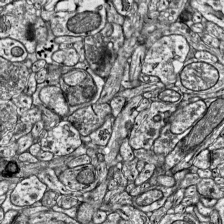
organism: Mouse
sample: Visual Cortex